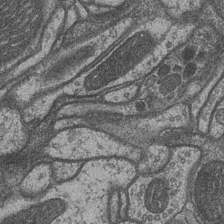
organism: Drosophila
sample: Optic medulla